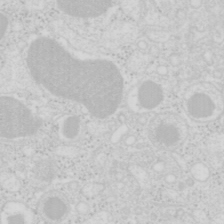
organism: Mouse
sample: Pancreas